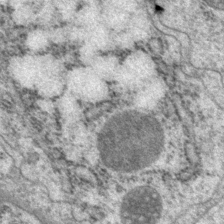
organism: P. pacificus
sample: Pharynx